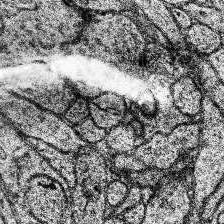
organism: Human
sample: Temporal Lobe